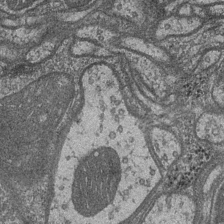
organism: Drosophila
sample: Optic medulla